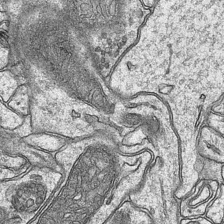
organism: Mouse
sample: CA1 Hippocampus